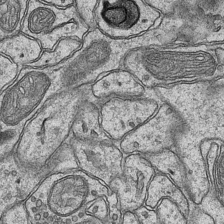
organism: Mouse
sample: CA1 Hippocampus